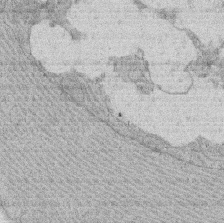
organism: Rat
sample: Salivary granule